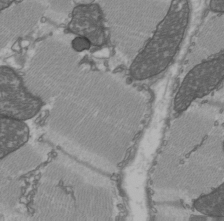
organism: C57BL Mouse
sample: Heart